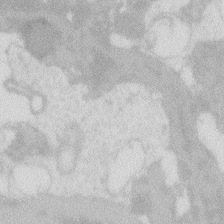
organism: Zebrafish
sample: Macrophage